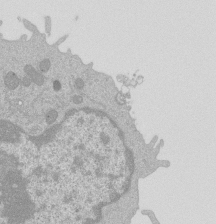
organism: Mouse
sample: Activated Pmel transgenic CD8+ T Cells